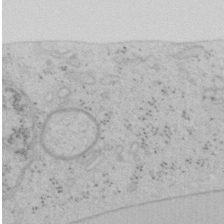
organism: Human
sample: HeLa cells